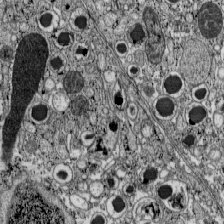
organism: C57BL Mouse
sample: Pancreatic islet